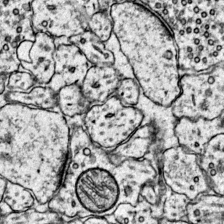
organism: Mouse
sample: Primary visual cortex